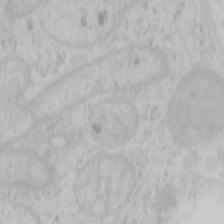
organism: Mouse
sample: OT-I killer T cells with ID8 ovarian cancer cells